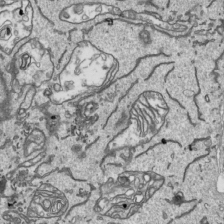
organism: Human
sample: Mitochondria in HCT116 cells